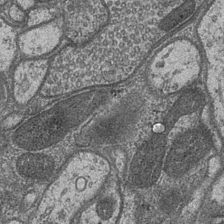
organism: Drosophila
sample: Optic medulla